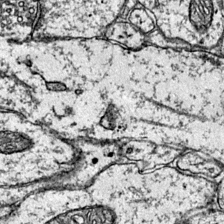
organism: Mouse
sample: Primary visual cortex